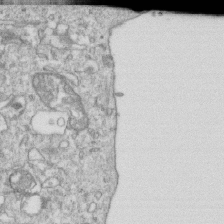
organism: Mouse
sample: Activated OT-1 CD8+ T cells